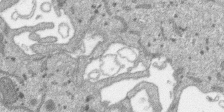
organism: Human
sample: Lung epithelial cells infected with SARS-CoV-2